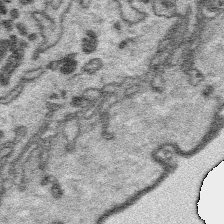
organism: Platynereis dumerilii